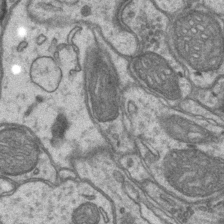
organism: Mouse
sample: CA1 Hippocampus